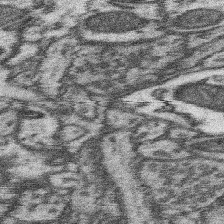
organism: Mouse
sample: Somatosensory cortex neuropil